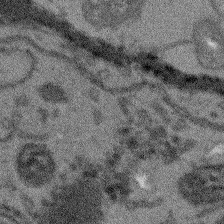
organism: Arabidopsis thaliana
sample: Root tip